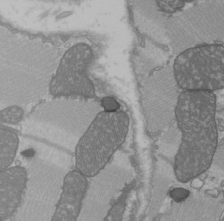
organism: C57BL Mouse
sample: Heart